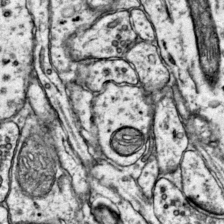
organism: Mouse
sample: Primary visual cortex